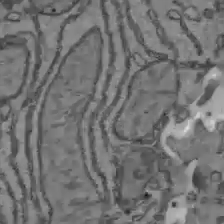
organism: C57BL Mouse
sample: Liver